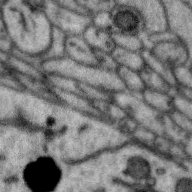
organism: Zebra finch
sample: Brain